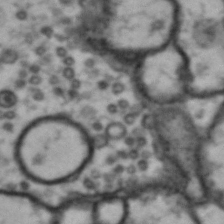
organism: Drosophila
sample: Brain